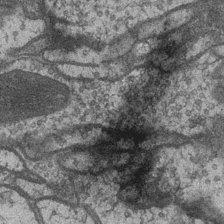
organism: Drosophila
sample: Optic medulla